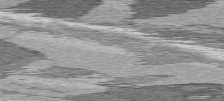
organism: C57BL Mouse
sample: Heart